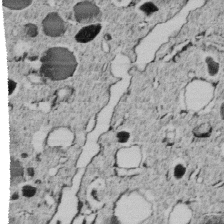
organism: C. elegans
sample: C. elegans embryo early stage